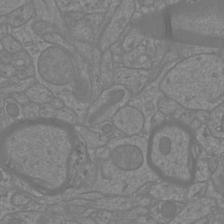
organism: Mouse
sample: Cortical neurons